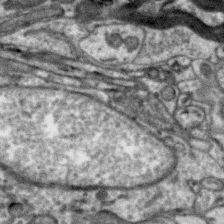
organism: Zebra finch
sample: Brain